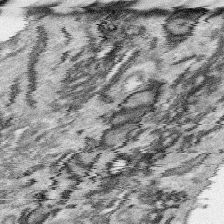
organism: Human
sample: HeLa cells